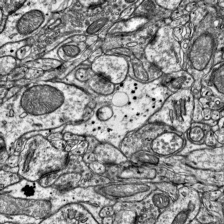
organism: Mouse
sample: Visual Cortex